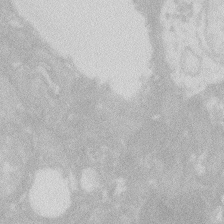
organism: Zebrafish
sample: Macrophage